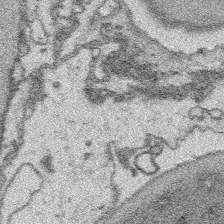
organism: Platynereis dumerilii